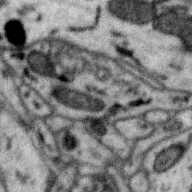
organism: Zebra finch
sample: Brain